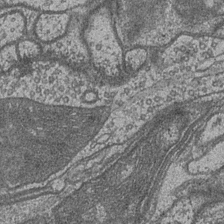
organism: Drosophila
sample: Optic medulla